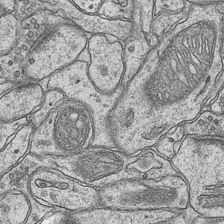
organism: Mouse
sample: CA1 Hippocampus